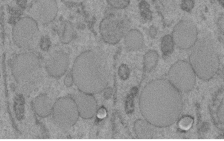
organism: C. elegans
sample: C. elegans embryo early stage